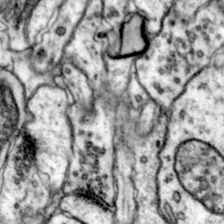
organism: Mouse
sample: Primary visual cortex